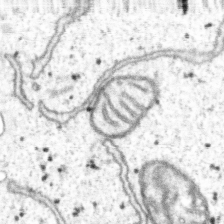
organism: Human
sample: HeLa cells